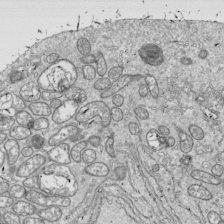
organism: Drosophila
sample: Cell division; meiosis; drosophila spermatocytes